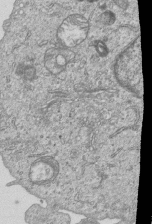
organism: Human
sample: MDA-MB-231 cells